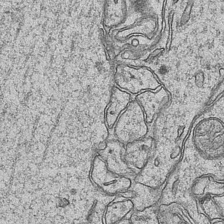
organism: Mouse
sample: CA1 Hippocampus